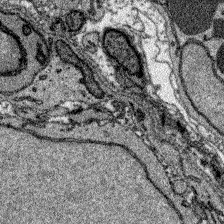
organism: Zebrafish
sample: Larval olfactory bulb